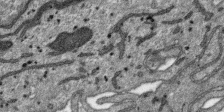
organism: Human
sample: Lung epithelial cells, uninfected (mock) control